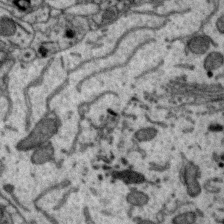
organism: Zebra finch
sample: Brain